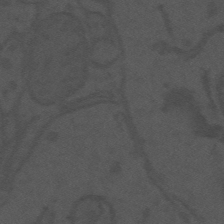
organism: Mouse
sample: Suprachiasmatic nucleus